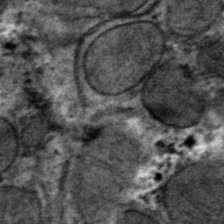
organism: Mouse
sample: Mouse hepatocytes